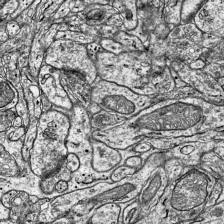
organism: Mouse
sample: Visual Cortex